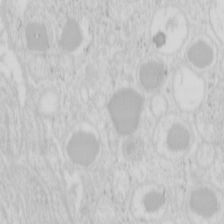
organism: Mouse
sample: Pancreas